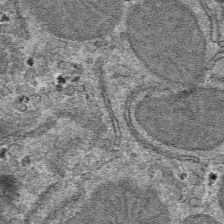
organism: Mouse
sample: Mouse hepatocytes